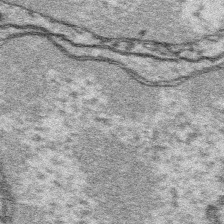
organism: Platynereis dumerilii